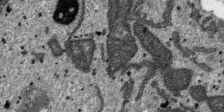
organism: Human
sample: Lung epithelial cells, uninfected (mock) control